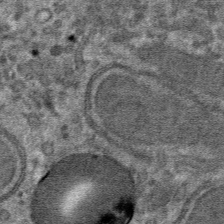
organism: Mouse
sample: Mouse hepatocytes